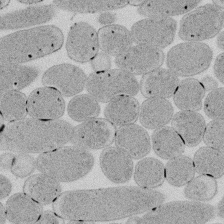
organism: E. coli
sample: Bacterial nucleoid